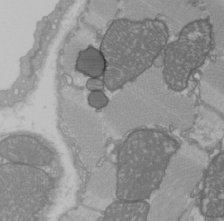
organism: C57BL Mouse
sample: Heart